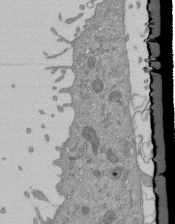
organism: Mouse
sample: ED-1 cell nuclei; centrioles